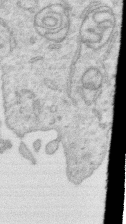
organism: Human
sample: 1205lu cells